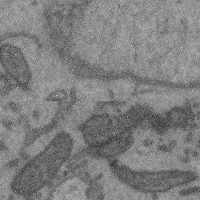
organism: Mouse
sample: Cerebral cortex